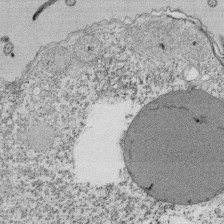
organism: Tetrahymena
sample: Cilia in tetrahymena